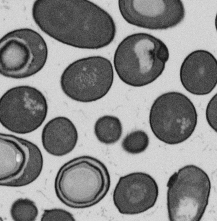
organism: B. subtilis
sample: Bacterial spore